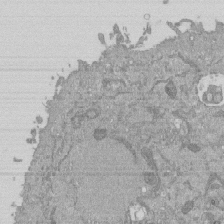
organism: Mouse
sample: ED-1 cell nuclei; centrioles